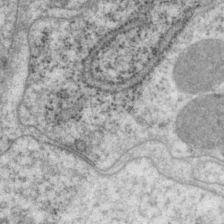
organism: P. pacificus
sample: Pharynx